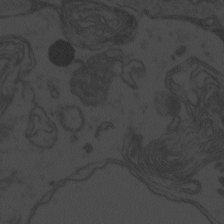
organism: Zebrafish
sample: Macrophage infected with Toxoplasma gondii